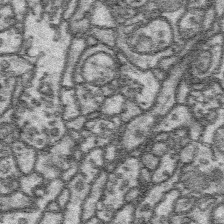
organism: Platynereis dumerilii